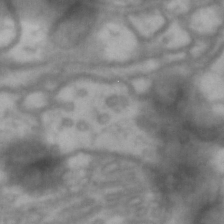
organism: Drosophila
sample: Brain